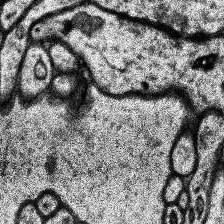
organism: Human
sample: Temporal Lobe